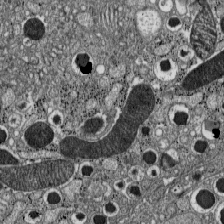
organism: C57BL Mouse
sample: Pancreatic islet